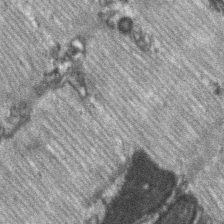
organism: C57BL Mouse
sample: Soleus